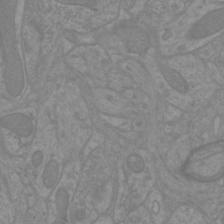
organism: Mouse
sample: Cortical neurons